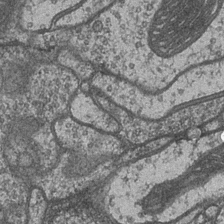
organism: Drosophila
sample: Optic medulla